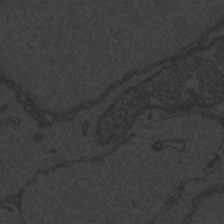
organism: Zebrafish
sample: Macrophage infected with Toxoplasma gondii